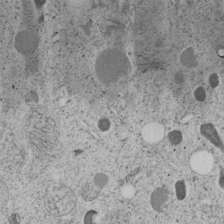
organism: C. elegans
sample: C. elegans embryo early stage